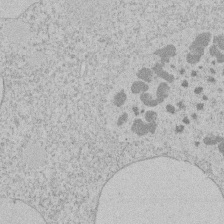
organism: Tetrahymena